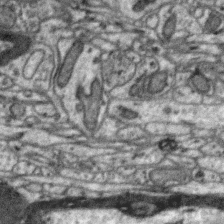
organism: Zebra finch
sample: Brain